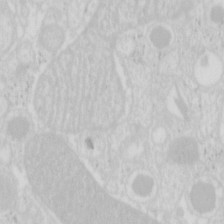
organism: Mouse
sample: Pancreas